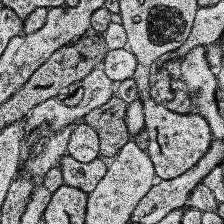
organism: Human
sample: Temporal Lobe